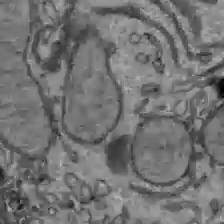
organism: C57BL Mouse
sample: Liver